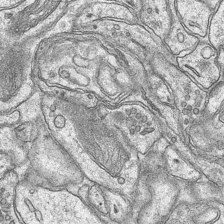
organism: Mouse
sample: CA1 Hippocampus